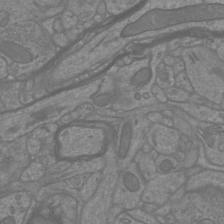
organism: Mouse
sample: Cortical neurons